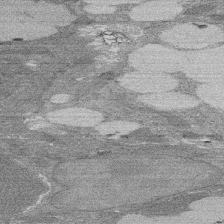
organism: Rat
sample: Salivary granule